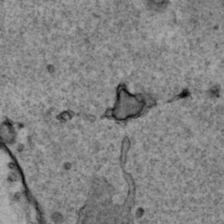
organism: Human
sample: Mitochondria in HCT116 cells